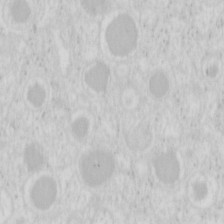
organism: Mouse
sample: Pancreas